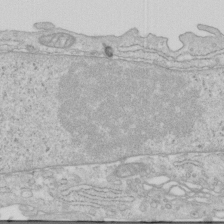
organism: Human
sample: Centriole in RPE cells